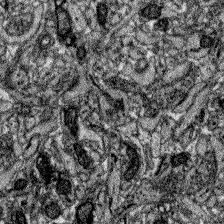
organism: Zebrafish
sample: Larval olfactory bulb